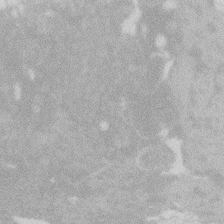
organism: Zebrafish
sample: Macrophage